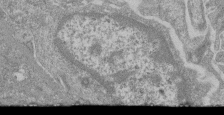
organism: Mouse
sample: Glomerulus